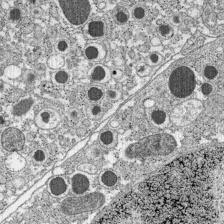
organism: C57BL Mouse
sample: Pancreatic islet